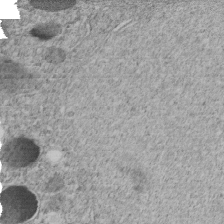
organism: C. elegans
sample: C. elegans embryo early stage